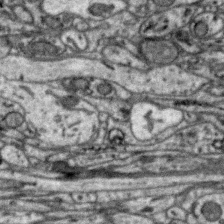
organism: Zebra finch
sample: Brain